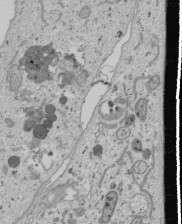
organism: Human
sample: Mitochondria in U2OS cells